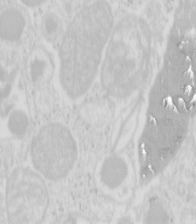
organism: Mouse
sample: Pancreas